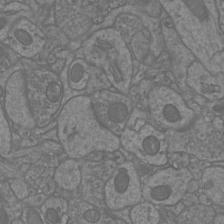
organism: Mouse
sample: Cortical neurons